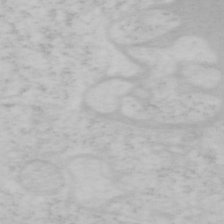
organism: Mouse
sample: OT-I killer T cells with ID8 ovarian cancer cells